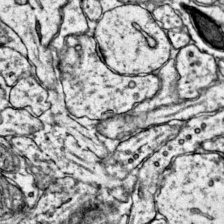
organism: Mouse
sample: Primary visual cortex